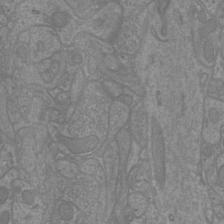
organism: Mouse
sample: Cortical neurons